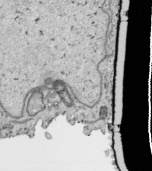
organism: Human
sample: Mitochondria in HCT116 cells